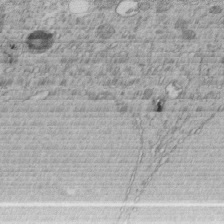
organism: C. elegans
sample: C. elegans embryo early stage